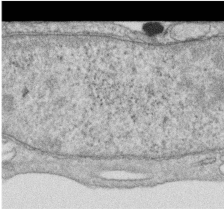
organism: Human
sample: Centriole in RPE cells